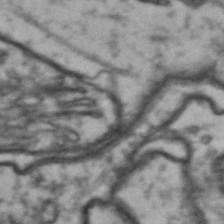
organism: Drosophila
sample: Brain